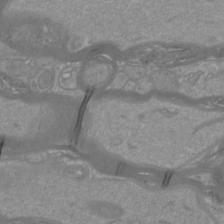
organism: Mouse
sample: Cortical neurons